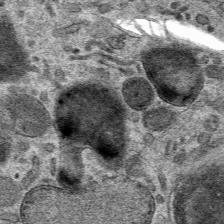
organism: Mouse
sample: Mouse hepatocytes